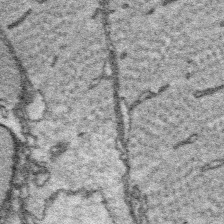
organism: Platynereis dumerilii